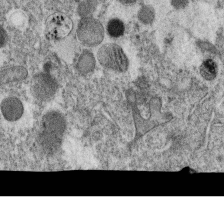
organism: C. elegans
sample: C. elegans oocyte; sperm cells